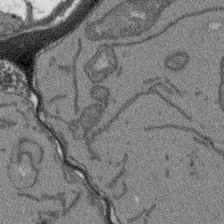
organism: Arabidopsis thaliana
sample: Root tip